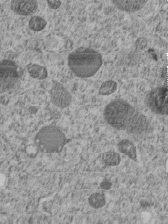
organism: C. elegans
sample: C. elegans embryo early stage